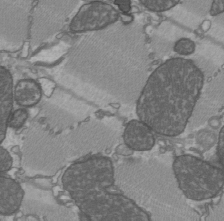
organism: C57BL Mouse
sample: Heart